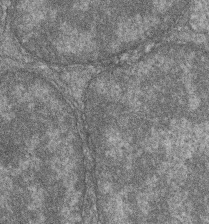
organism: Zebrafish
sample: Cilia; retinal pigment epithelium